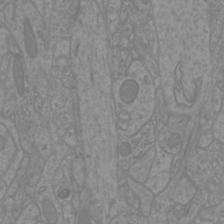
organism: Mouse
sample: Cortical neurons